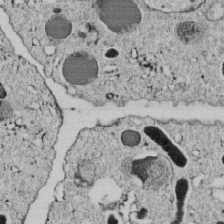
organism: C. elegans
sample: C. elegans embryo early stage